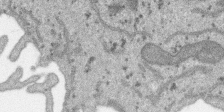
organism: Human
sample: Lung epithelial cells infected with SARS-CoV-2